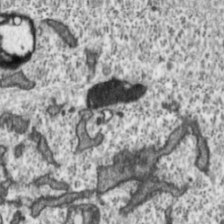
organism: Toxoplasma gondii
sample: Parasites in a vacuole inside a host cell